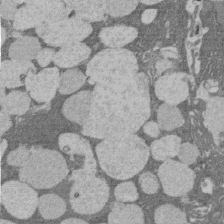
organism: Rat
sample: Salivary granule